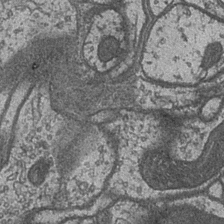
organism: Drosophila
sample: Optic medulla